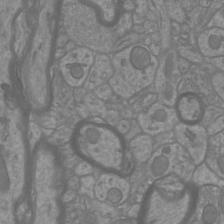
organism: Mouse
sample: Cortical neurons